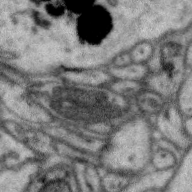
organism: Zebra finch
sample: Brain